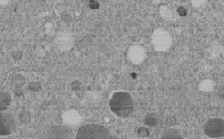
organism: C. elegans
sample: C. elegans embryo early stage